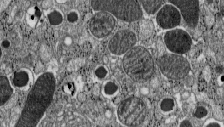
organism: C57BL Mouse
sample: Pancreatic islet